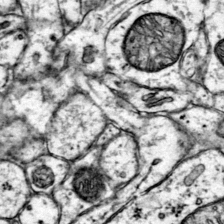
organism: Mouse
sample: Primary visual cortex